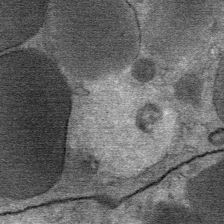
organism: Mouse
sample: Mouse Salivary gland